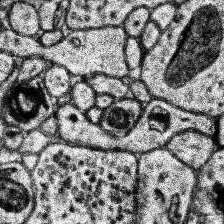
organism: Human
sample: Temporal Lobe